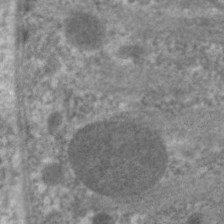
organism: C. elegans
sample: Pharynx